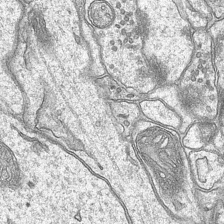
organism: Mouse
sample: CA1 Hippocampus